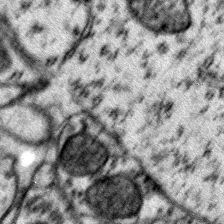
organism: Mouse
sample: Primary visual cortex